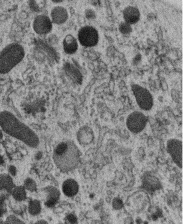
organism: C. elegans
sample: C. elegans oocyte; sperm cells